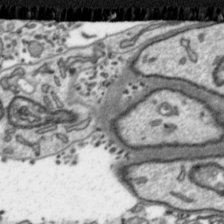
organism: Toxoplasma gondii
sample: Parasites in a vacuole inside a host cell